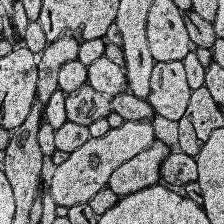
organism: Human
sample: Temporal Lobe